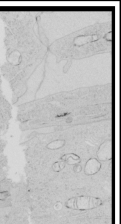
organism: Human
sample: Mitochondria in HCT116 cells